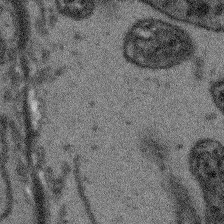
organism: Arabidopsis thaliana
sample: Root tip